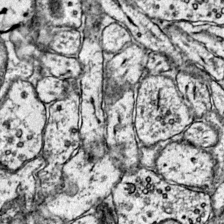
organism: Mouse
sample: Primary visual cortex